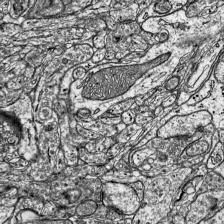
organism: Mouse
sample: Visual Cortex